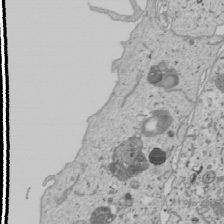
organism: Human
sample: Mitochondria in U2OS cells